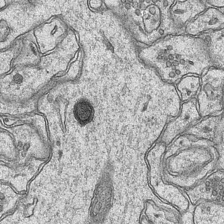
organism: Mouse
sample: CA1 Hippocampus